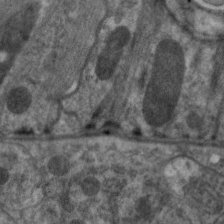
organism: C. elegans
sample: Pharynx